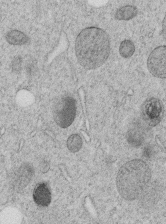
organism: C. elegans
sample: C. elegans embryo early stage